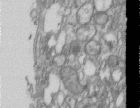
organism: Human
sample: Centriole in RPE cells